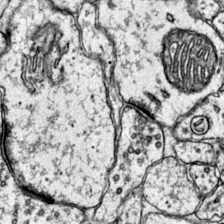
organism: Mouse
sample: Primary visual cortex